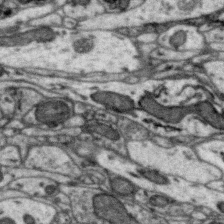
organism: Zebra finch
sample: Brain